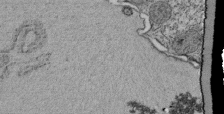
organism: Tetrahymena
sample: Cilia in tetrahymena